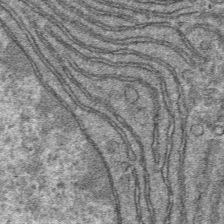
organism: Mouse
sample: Mouse hepatocytes